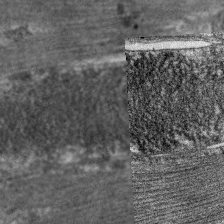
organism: C. elegans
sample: Pharynx